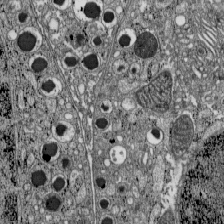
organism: C57BL Mouse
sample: Pancreatic islet